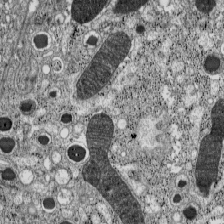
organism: C57BL Mouse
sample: Pancreatic islet